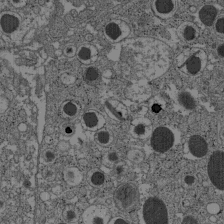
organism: C57BL Mouse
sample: Pancreatic islet